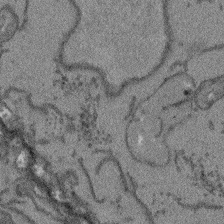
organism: Arabidopsis thaliana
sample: Root tip